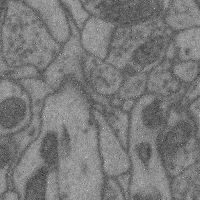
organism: Mouse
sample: Cerebral cortex